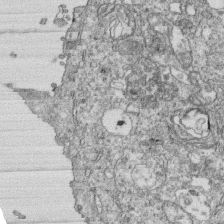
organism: Human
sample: HeLa cell HIV synapse